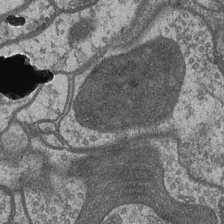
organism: Drosophila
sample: Optic medulla